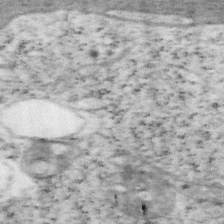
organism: Mouse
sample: OT-I killer T cells with ID8 ovarian cancer cells